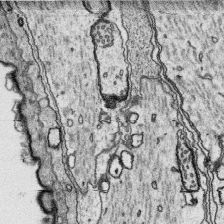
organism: Platynereis dumerilii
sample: Parapodia